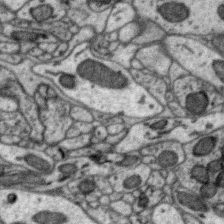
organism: Zebra finch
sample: Brain